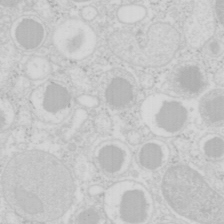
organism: Mouse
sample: Pancreas